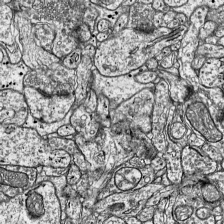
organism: Mouse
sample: Visual Cortex